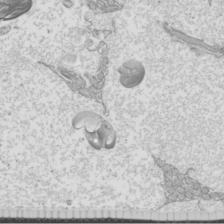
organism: Mouse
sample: Cilia; mouse epididymis